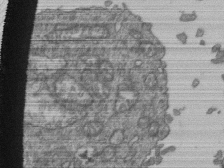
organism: Human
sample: Retinal organoid Rod and Cone cells